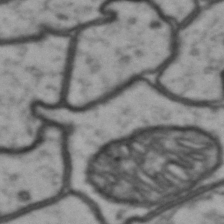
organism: Drosophila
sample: Brain